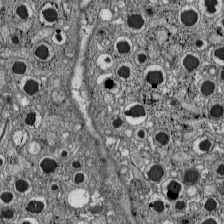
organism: C57BL Mouse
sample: Pancreatic islet